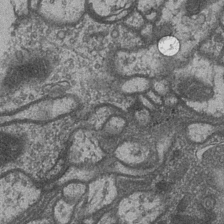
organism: Drosophila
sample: Optic medulla